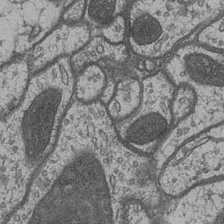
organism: Drosophila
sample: Optic medulla